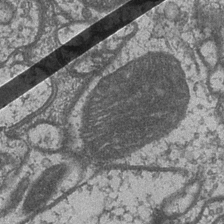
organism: Drosophila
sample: Optic medulla